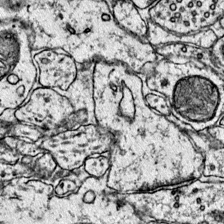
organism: Mouse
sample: Primary visual cortex